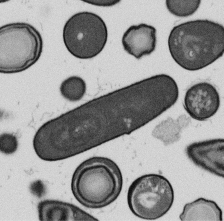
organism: B. subtilis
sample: Bacterial spore